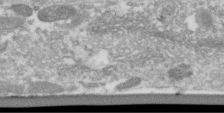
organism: Human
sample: Centriole in RPE cells